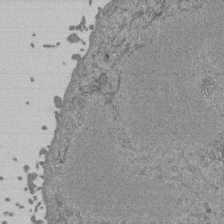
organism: Mouse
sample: ED-1 cell nuclei; centrioles